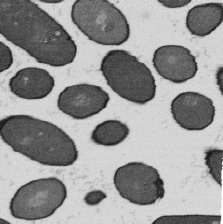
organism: B. subtilis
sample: Bacterial spore